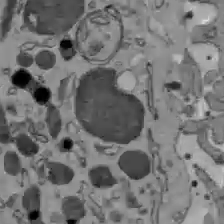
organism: C57BL Mouse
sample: Liver